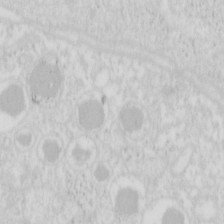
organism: Mouse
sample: Pancreas